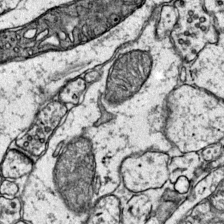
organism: Mouse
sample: Primary visual cortex